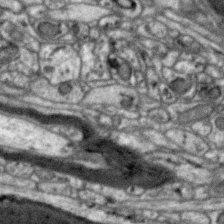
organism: Zebra finch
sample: Brain